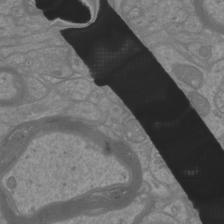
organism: Mouse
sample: Cortical neurons